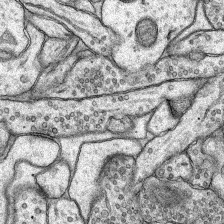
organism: Rat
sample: Hippocampus